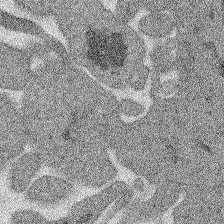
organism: Human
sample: HeLa cells